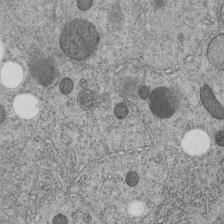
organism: C. elegans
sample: C. elegans embryo early stage